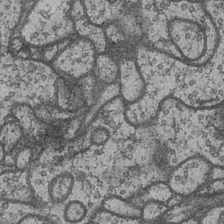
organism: Drosophila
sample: Optic medulla